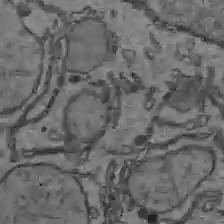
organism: C57BL Mouse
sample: Liver